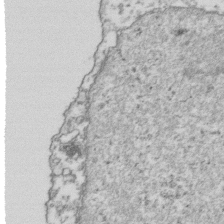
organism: Human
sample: Activated Jurkat CD4+ T cells